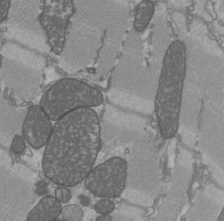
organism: C57BL Mouse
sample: Heart